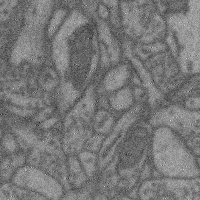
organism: Mouse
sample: Cerebral cortex